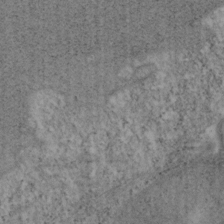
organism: Mouse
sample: OT-I killer T cells with ID8 ovarian cancer cells